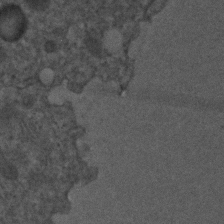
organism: C. elegans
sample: C. elegans embryo